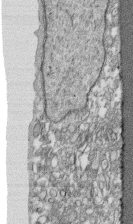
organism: Human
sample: CRL-1474